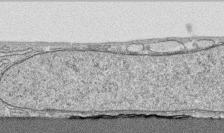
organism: Human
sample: CRL-1474